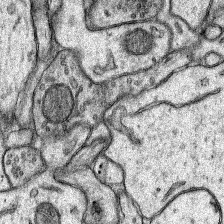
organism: Rat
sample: Hippocampus